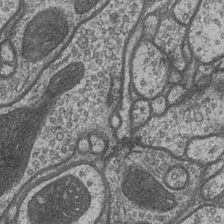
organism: Drosophila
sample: Optic medulla